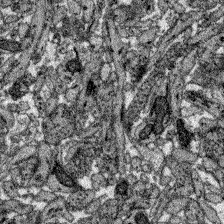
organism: Zebrafish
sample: Larval olfactory bulb